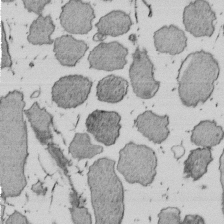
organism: E. coli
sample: Bacterial nucleoid